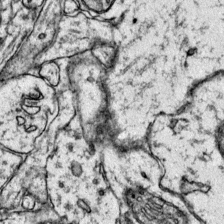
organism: Mouse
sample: Primary visual cortex